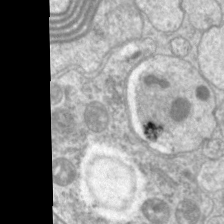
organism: C. elegans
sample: Pharynx